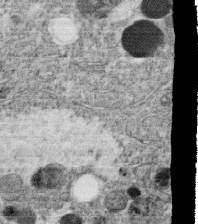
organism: C. elegans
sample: C. elegans oocyte; sperm cells